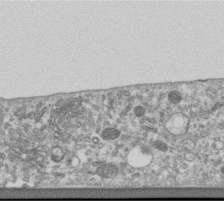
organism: Human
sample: Centriole in RPE cells